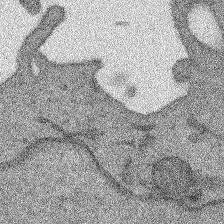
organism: Human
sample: HeLa cells